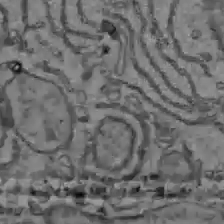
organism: C57BL Mouse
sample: Liver